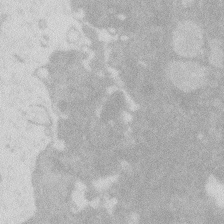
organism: Zebrafish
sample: Macrophage